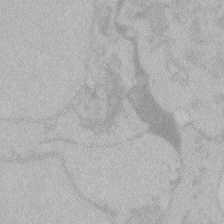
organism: Zebrafish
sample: Macrophage infected with Toxoplasma gondii